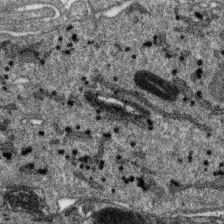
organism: Human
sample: Lung epithelial cells infected with SARS-CoV-2